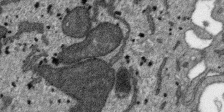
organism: Human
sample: Lung epithelial cells, uninfected (mock) control